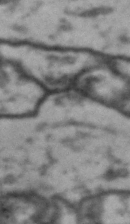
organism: Drosophila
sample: Brain